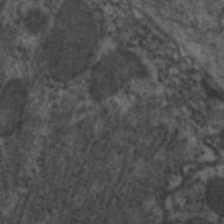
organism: C. elegans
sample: Pharynx